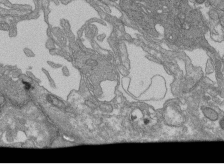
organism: Human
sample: Retinal organoid Rod and Cone cells